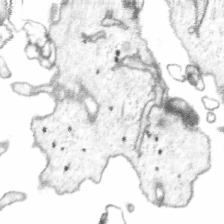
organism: Human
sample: HeLa cells